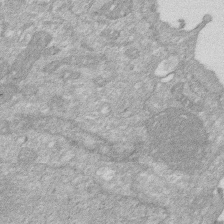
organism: Human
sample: HIV infected U937 cells